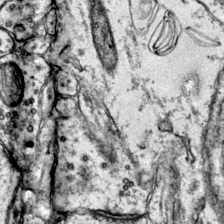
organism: Mouse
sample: Primary visual cortex